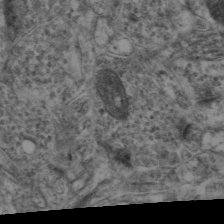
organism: Mouse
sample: Neocortex